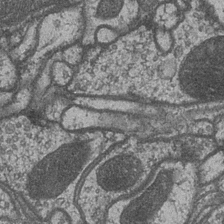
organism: Drosophila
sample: Optic medulla